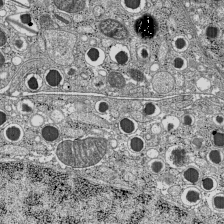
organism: C57BL Mouse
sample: Pancreatic islet